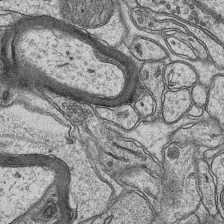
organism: Mouse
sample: CA1 Hippocampus